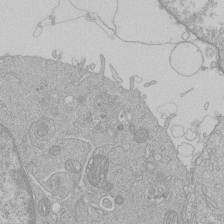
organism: Human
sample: Macrophage cells